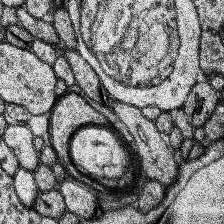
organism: Human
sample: Temporal Lobe